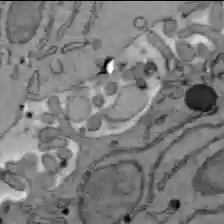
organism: C57BL Mouse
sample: Liver